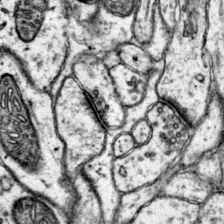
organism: Mouse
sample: Primary visual cortex